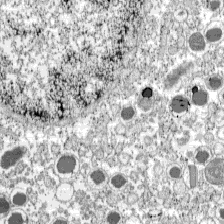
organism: C57BL Mouse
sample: Pancreatic islet